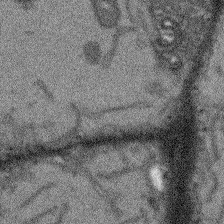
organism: Arabidopsis thaliana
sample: Root tip